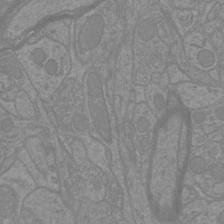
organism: Mouse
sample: Cortical neurons